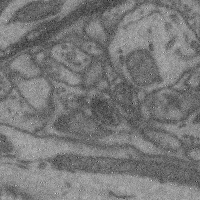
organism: Mouse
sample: Cerebral cortex